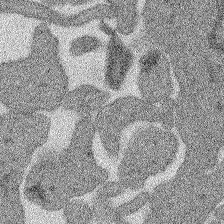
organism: Human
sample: HeLa cells